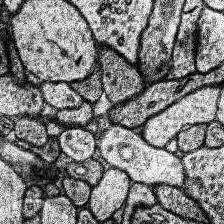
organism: Human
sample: Temporal Lobe